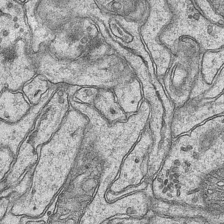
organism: Mouse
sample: CA1 Hippocampus